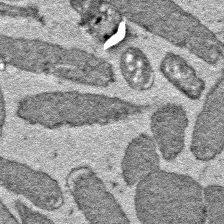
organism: E. coli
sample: E. Coli Bacteria